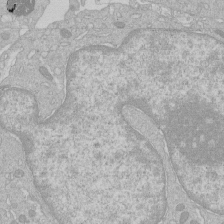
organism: Human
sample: Macrophage cells